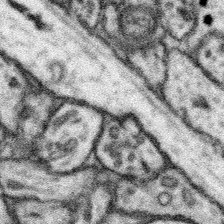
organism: Mouse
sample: Somatosensory cortex neuropil